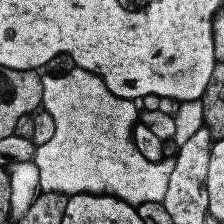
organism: Human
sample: Temporal Lobe